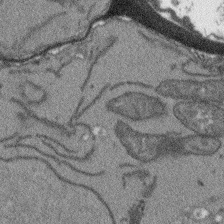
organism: Arabidopsis thaliana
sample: Root tip